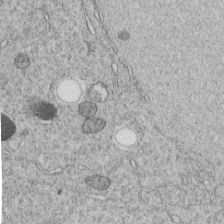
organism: C. elegans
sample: C. elegans embryo early stage